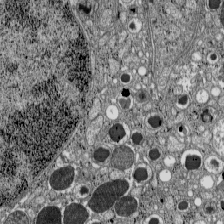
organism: C57BL Mouse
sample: Pancreatic islet